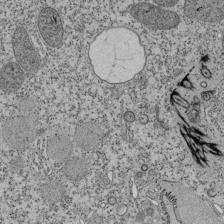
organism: Tetrahymena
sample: Cilia in tetrahymena